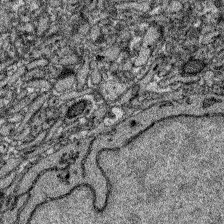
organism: Zebrafish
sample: Larval olfactory bulb